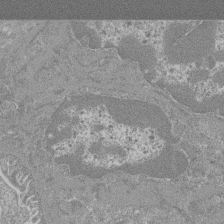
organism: Mouse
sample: Glomerulus